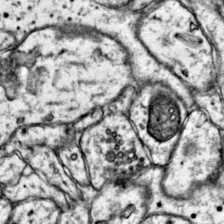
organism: Mouse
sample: Primary visual cortex